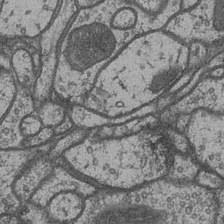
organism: Drosophila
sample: Optic medulla